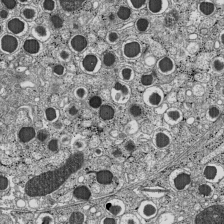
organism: C57BL Mouse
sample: Pancreatic islet